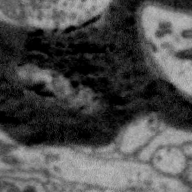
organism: Zebra finch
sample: Brain